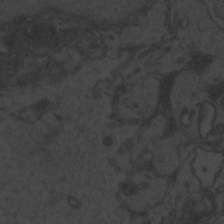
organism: Zebrafish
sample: Macrophage infected with Toxoplasma gondii